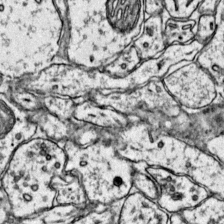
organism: Mouse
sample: Primary visual cortex